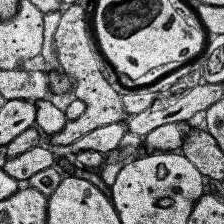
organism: Human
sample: Temporal Lobe